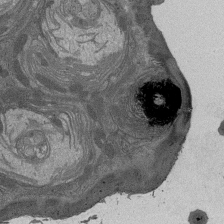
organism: Drosophila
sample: Antenna